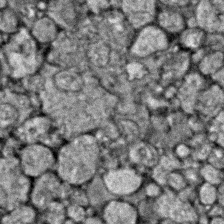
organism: Zebrafish